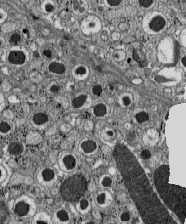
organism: C57BL Mouse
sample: Pancreatic islet